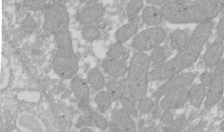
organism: Xenopus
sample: Cilia; centrioles in frog embryo cells